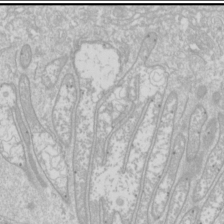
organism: Drosophila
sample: Cell division; meiosis; drosophila spermatocytes